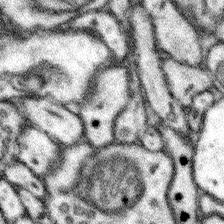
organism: Mouse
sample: Somatosensory cortex neuropil